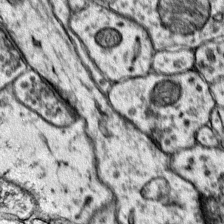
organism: Mouse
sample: Primary visual cortex